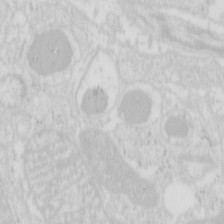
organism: Mouse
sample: Pancreas